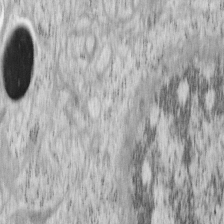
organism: Human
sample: HeLa cells